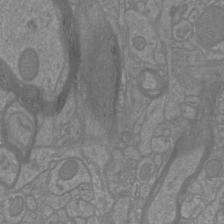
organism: Mouse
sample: Cortical neurons